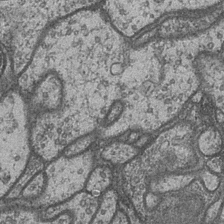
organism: Drosophila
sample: Optic medulla